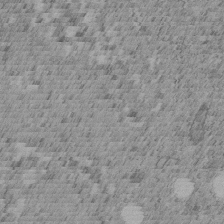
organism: C. elegans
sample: C. elegans embryo early stage